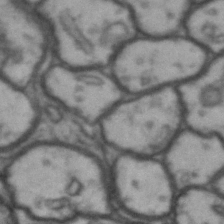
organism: Drosophila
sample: Brain